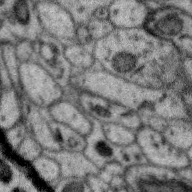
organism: Zebra finch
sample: Brain